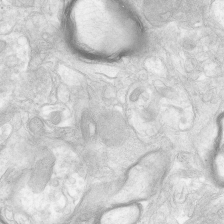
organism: Human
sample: Neocortex